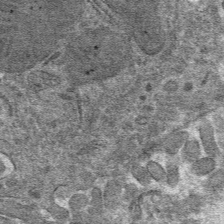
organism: Mouse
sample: Mouse hepatocytes